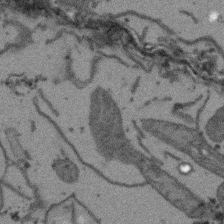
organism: Arabidopsis thaliana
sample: Root tip